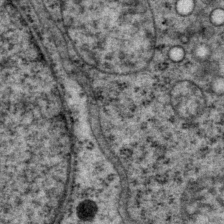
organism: P. pacificus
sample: Pharynx